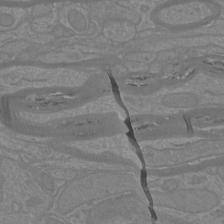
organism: Mouse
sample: Cortical neurons